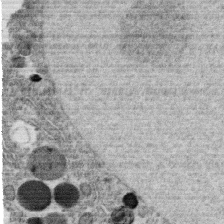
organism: C. elegans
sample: C. elegans oocyte; sperm cells